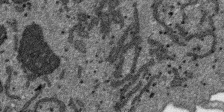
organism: Human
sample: Lung epithelial cells infected with SARS-CoV-2